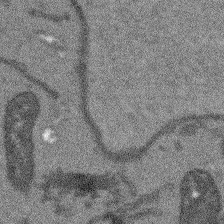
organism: Arabidopsis thaliana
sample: Root tip